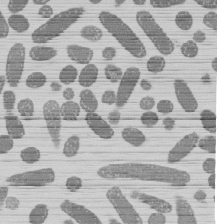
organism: E. coli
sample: Bacterial nucleoid